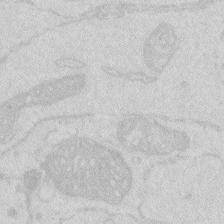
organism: Zebrafish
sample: Macrophage